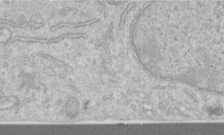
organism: Human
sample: Centriole in RPE cells